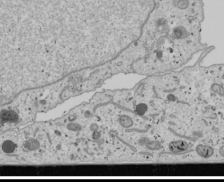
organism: Human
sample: Mitochondria in U2OS cells